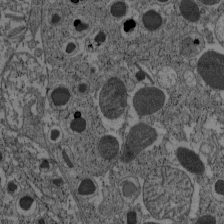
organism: C57BL Mouse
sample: Pancreatic islet